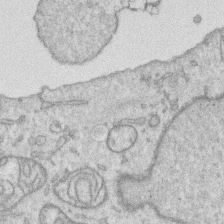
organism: Human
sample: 1205lu cells